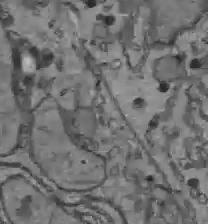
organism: C57BL Mouse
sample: Liver